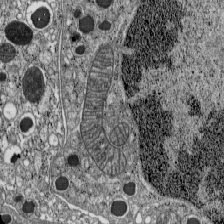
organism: C57BL Mouse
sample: Pancreatic islet